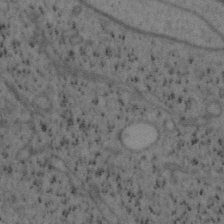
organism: Human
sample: HeLa cells